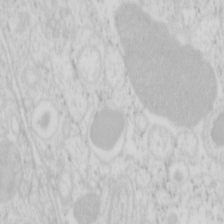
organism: Mouse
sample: Pancreas